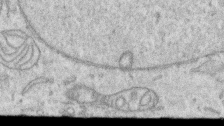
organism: Human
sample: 1205lu cells